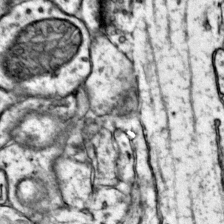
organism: Mouse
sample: Primary visual cortex